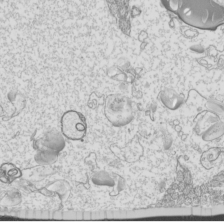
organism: Mouse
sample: Cilia; mouse epididymis